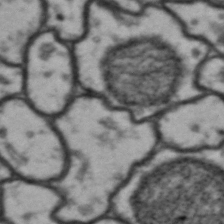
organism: Drosophila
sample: Brain